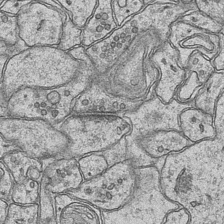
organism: Mouse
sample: CA1 Hippocampus